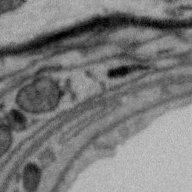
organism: Zebra finch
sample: Brain